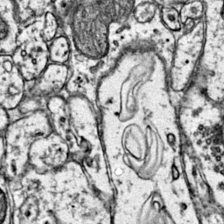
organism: Mouse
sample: Primary visual cortex